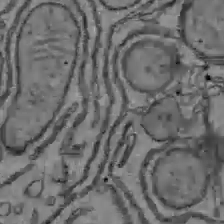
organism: C57BL Mouse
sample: Liver